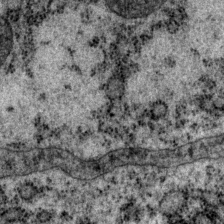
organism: P. pacificus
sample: Pharynx